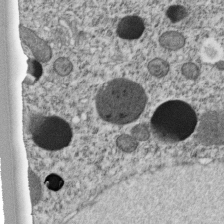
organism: C. elegans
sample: C. elegans embryo early stage